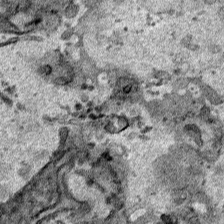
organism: Human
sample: Mitochondria in HCT116 cells